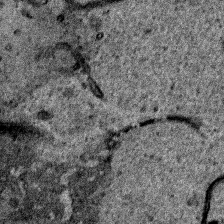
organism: Human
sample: Mitochondria in HCT116 cells